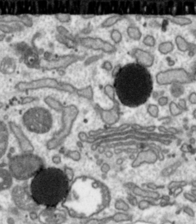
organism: Toxoplasma gondii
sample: Parasites in a vacuole inside a host cell